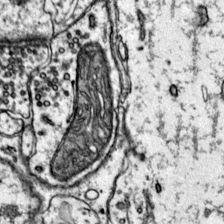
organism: Mouse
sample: Primary visual cortex